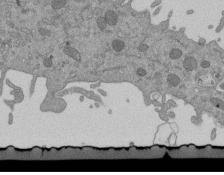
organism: Mouse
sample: ED-1 cell nuclei; centrioles